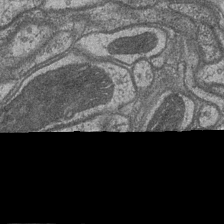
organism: Drosophila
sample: Optic medulla